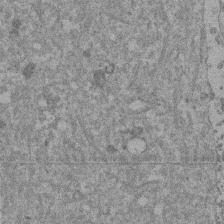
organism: Mouse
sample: Dividing mouse embryo 1 cell stage